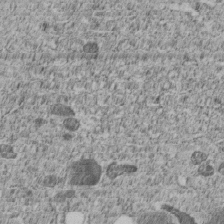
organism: C. elegans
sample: C. elegans embryo early stage